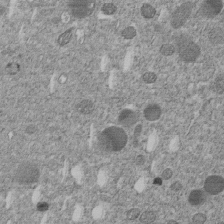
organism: C. elegans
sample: C. elegans embryo early stage